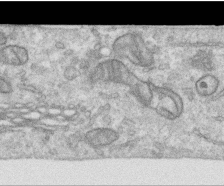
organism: Human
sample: Centriole in RPE cells